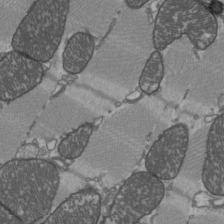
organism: C57BL Mouse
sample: Heart